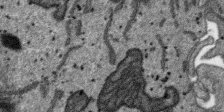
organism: Human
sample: Lung epithelial cells, uninfected (mock) control